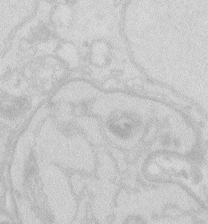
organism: Zebrafish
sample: Macrophage